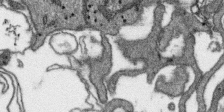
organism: Human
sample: Lung epithelial cells, uninfected (mock) control